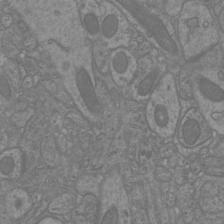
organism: Mouse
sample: Cortical neurons